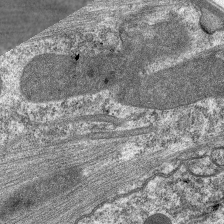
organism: C. elegans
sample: Pharynx